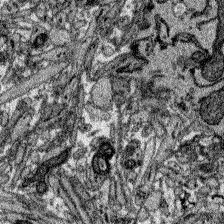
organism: Zebrafish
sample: Larval olfactory bulb